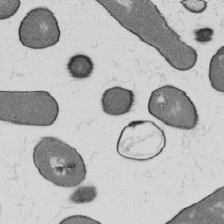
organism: B. subtilis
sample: Bacterial spore